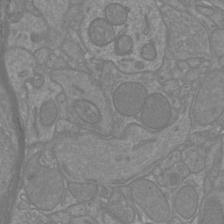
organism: Mouse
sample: Cortical neurons